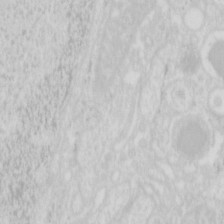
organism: Mouse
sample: Pancreas